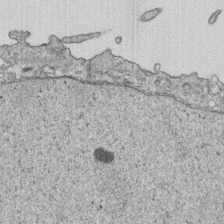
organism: Human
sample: HeLa cell HIV synapse